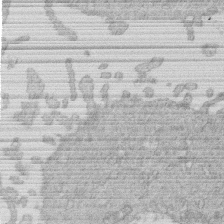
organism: Human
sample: Macrophage cells